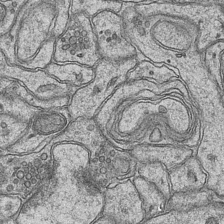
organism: Mouse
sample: CA1 Hippocampus